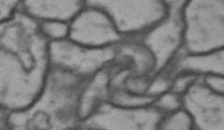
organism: Drosophila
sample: Brain